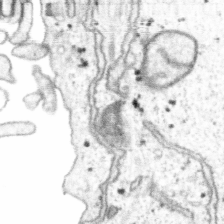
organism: Human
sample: HeLa cells